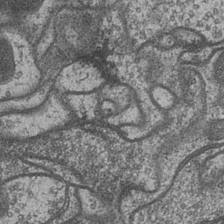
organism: Drosophila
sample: Optic medulla